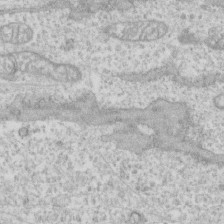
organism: Human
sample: CRL-1474